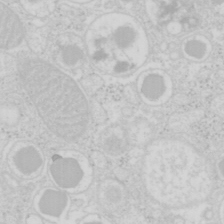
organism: Mouse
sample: Pancreas